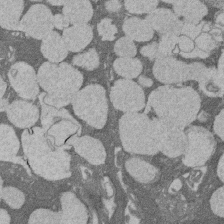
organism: Rat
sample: Salivary granule